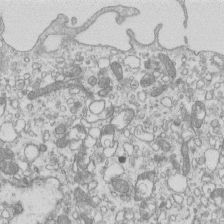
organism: Mouse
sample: Macrophages